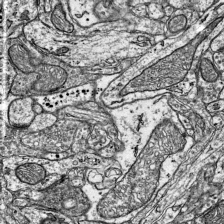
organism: Mouse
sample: Visual Cortex